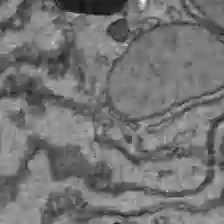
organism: C57BL Mouse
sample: Liver